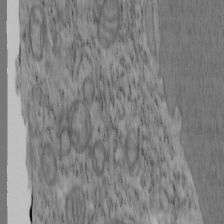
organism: Human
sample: HeLa cells